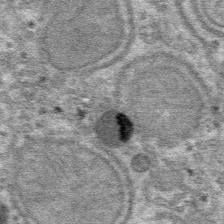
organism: Mouse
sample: Mouse hepatocytes